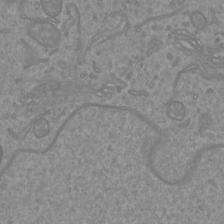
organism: Mouse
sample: Cortical neurons